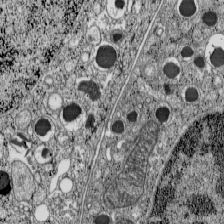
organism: C57BL Mouse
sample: Pancreatic islet